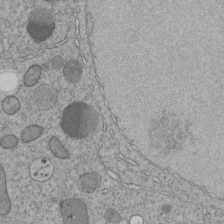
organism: C. elegans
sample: C. elegans embryo early stage